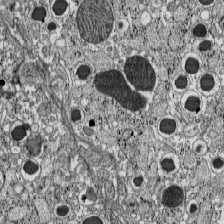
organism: C57BL Mouse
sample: Pancreatic islet